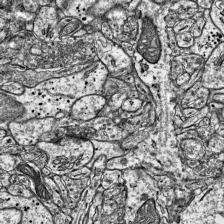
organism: Mouse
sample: Visual Cortex